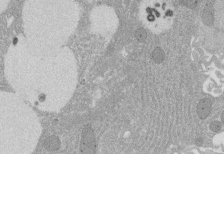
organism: Rat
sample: Salivary granule